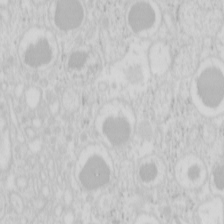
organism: Mouse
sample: Pancreas